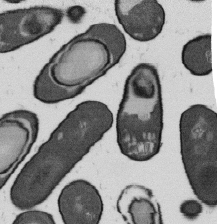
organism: B. subtilis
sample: Bacterial spore